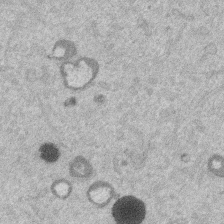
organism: Mouse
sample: Dividing mouse embryo 1 cell stage